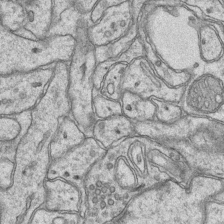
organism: Mouse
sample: CA1 Hippocampus